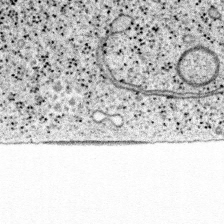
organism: Human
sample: HeLa cells